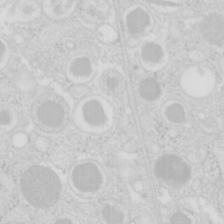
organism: Mouse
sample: Pancreas